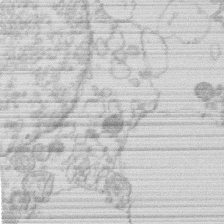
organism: Human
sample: Macrophage cells